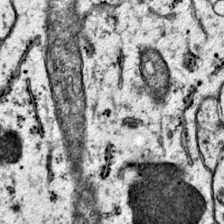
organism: Mouse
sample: Primary visual cortex